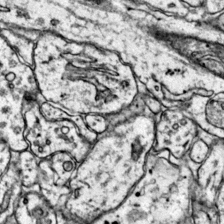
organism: Mouse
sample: Primary visual cortex